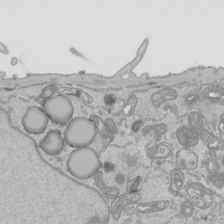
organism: Human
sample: Mitochondria in HCT116 cells